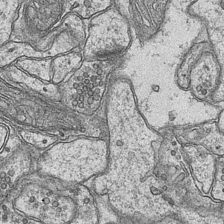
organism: Mouse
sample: CA1 Hippocampus